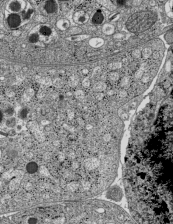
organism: C57BL Mouse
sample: Pancreatic islet